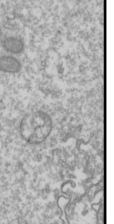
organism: Drosophila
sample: Cell division; meiosis; drosophila spermatocytes